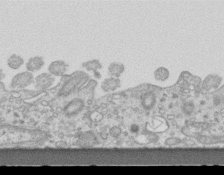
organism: Mouse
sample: Centriole in ependymal cells